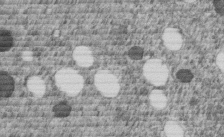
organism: C. elegans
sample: C. elegans embryo early stage